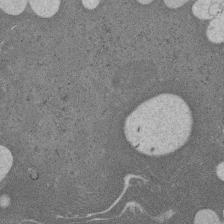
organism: Rat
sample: Salivary granule